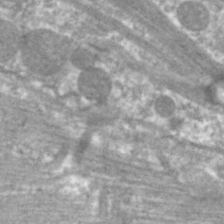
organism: C. elegans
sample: Pharynx